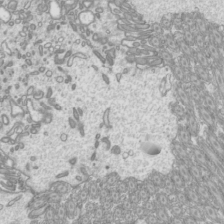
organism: Mouse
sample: Cilia; mouse epididymis